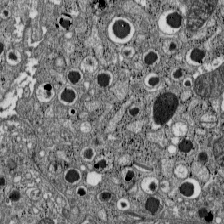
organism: C57BL Mouse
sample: Pancreatic islet